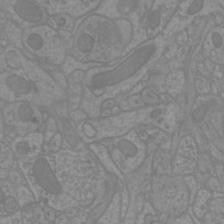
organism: Mouse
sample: Cortical neurons